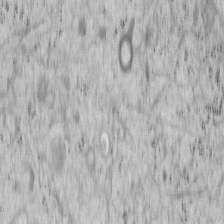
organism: Human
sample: HeLa cells